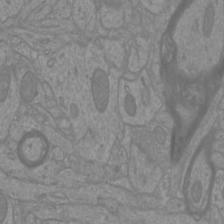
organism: Mouse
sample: Cortical neurons